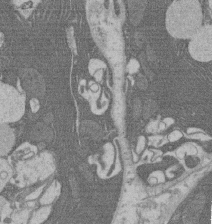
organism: Rat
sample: Salivary granule